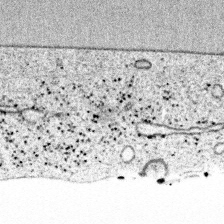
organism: Human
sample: HeLa cells